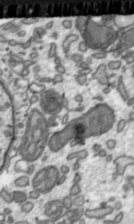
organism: Toxoplasma gondii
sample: Parasites in a vacuole inside a host cell